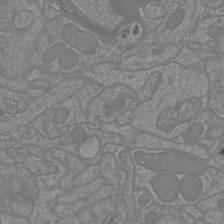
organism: Mouse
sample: Cortical neurons